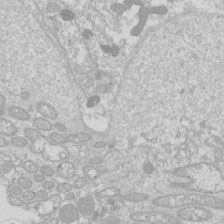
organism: Drosophila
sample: Cell division; meiosis; drosophila spermatocytes